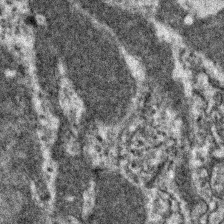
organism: Zebrafish